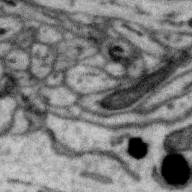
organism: Zebra finch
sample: Brain